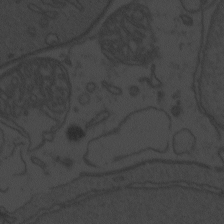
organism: Zebrafish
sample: Macrophage infected with Toxoplasma gondii